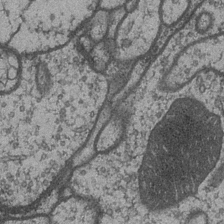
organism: Drosophila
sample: Optic medulla